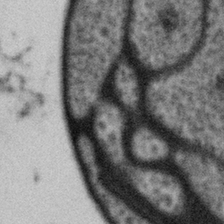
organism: Gemmata obscuriglobus